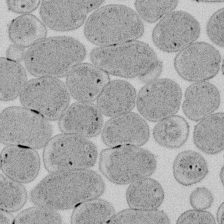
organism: E. coli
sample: Bacterial nucleoid